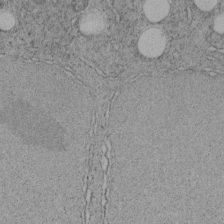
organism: C. elegans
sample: C. elegans embryo early stage